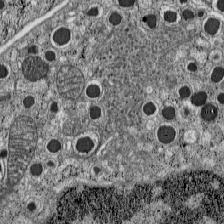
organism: C57BL Mouse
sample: Pancreatic islet